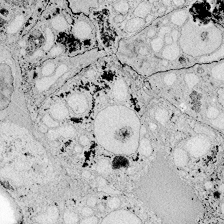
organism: Zebrafish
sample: Whole-Brain